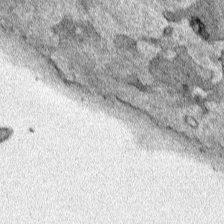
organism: Human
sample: Mitochondria in HCT116 cells